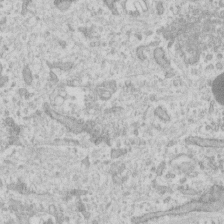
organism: Human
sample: Fibroblast cells